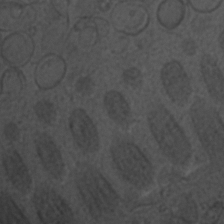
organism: C. elegans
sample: C. elegans embryo